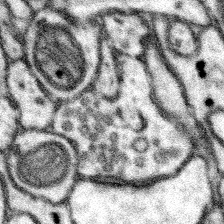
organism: Mouse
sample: Somatosensory cortex neuropil